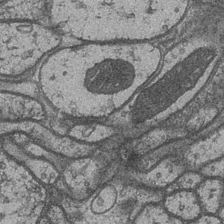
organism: Drosophila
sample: Optic medulla